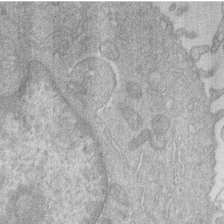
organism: Human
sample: Macrophage cells